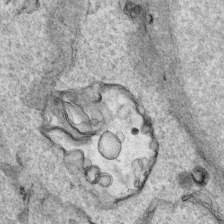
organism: Human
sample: Mitochondria in HCT116 cells